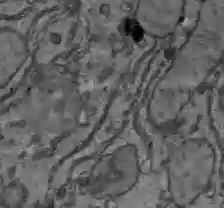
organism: C57BL Mouse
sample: Liver